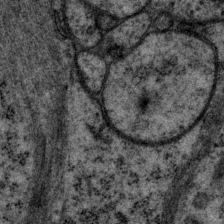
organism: P. pacificus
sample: Pharynx